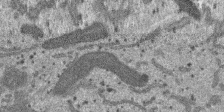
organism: Human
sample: Lung epithelial cells infected with SARS-CoV-2